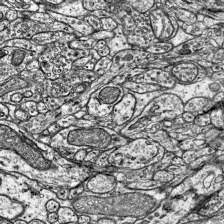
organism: Mouse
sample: Visual Cortex